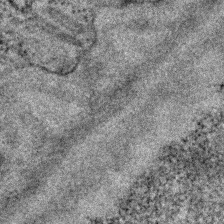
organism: C. elegans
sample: C. elegans embryo